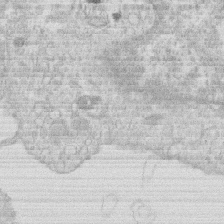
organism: Human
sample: Macrophage cells